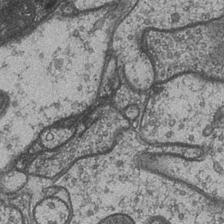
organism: Drosophila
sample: Optic medulla